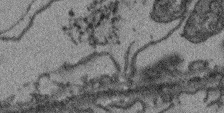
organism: Arabidopsis thaliana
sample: Root tip